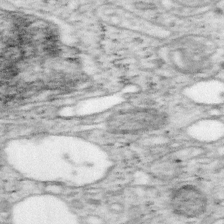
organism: Mouse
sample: OT-I killer T cells with ID8 ovarian cancer cells